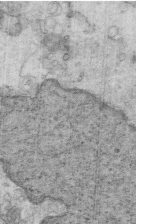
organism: Mouse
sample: Multiciliated cells